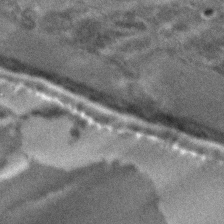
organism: C. elegans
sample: C. elegans embryo